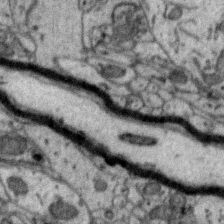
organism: Zebra finch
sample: Brain